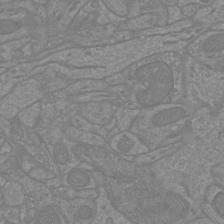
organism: Mouse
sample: Cortical neurons